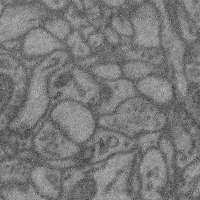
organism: Mouse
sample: Cerebral cortex